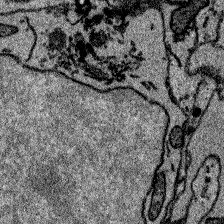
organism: Zebrafish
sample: Larval olfactory bulb